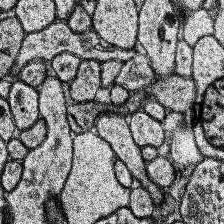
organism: Human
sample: Temporal Lobe